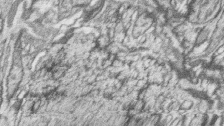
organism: Zebrafish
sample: synaptic ribbons in rod cells and cone cells